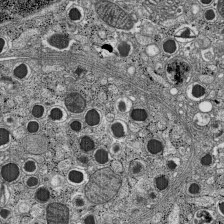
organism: C57BL Mouse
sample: Pancreatic islet